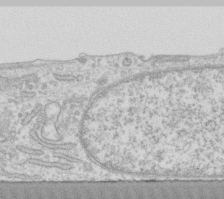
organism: Human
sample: Fibroblast cells